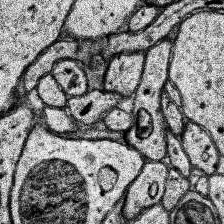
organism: Human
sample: Temporal Lobe